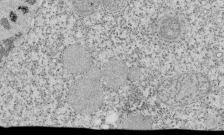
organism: Tetrahymena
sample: Cilia in tetrahymena